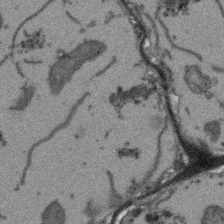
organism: Arabidopsis thaliana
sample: Root tip